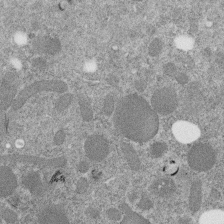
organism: C. elegans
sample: C. elegans embryo early stage